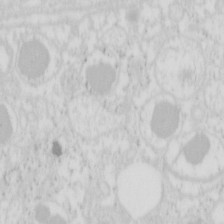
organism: Mouse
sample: Pancreas